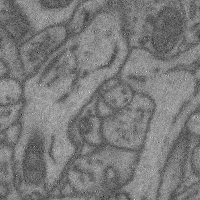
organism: Mouse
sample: Cerebral cortex